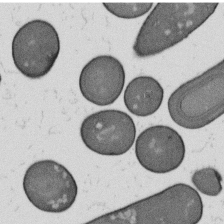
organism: B. subtilis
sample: Bacterial spore